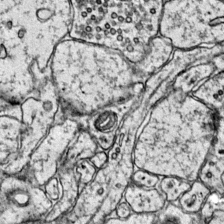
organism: Mouse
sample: Primary visual cortex